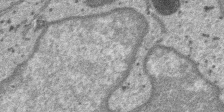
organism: Human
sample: Lung epithelial cells infected with SARS-CoV-2